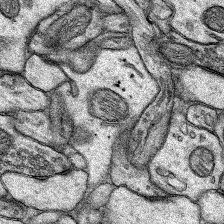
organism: Rat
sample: Hippocampus